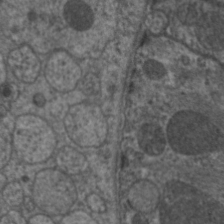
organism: C. elegans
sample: Pharynx